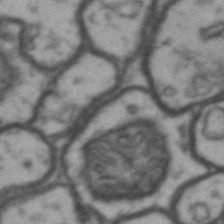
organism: Drosophila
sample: Brain